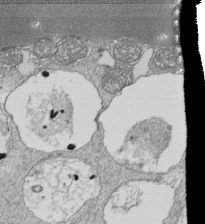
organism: Tetrahymena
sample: Cilia in tetrahymena